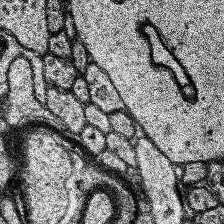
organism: Human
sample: Temporal Lobe